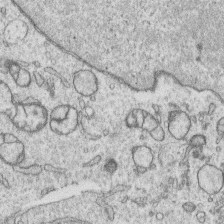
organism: Human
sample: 1205lu cells